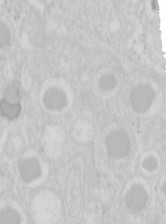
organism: Mouse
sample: Pancreas